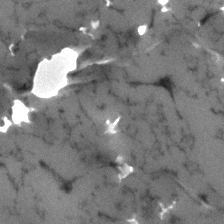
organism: Human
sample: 1205lu cells